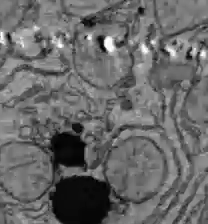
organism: C57BL Mouse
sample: Liver